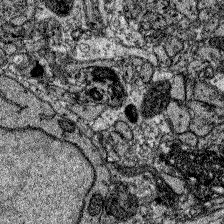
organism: Zebrafish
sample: Larval olfactory bulb